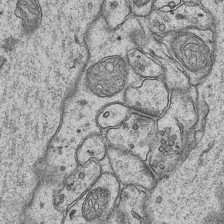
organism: Mouse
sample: CA1 Hippocampus